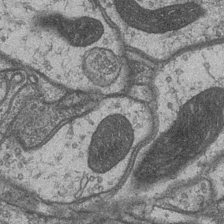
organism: Drosophila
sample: Optic medulla